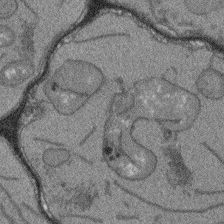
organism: Arabidopsis thaliana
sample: Root tip